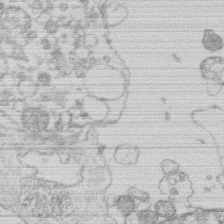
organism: Human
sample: Macrophage cells